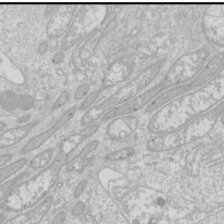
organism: Drosophila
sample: Cell division; meiosis; drosophila spermatocytes